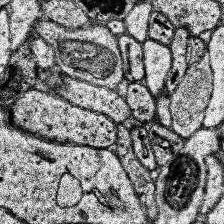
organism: Human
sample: Temporal Lobe